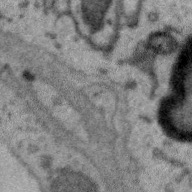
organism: Zebra finch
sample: Brain